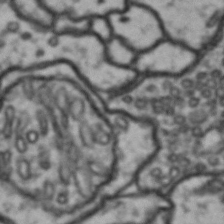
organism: Drosophila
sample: Brain